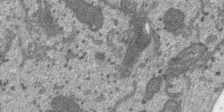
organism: Human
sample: Lung epithelial cells infected with SARS-CoV-2